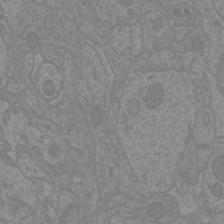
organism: Mouse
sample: Cortical neurons